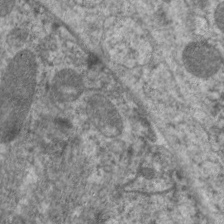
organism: C. elegans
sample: Pharynx